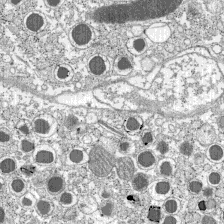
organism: C57BL Mouse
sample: Pancreatic islet